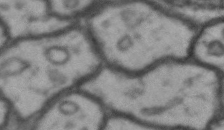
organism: Drosophila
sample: Brain